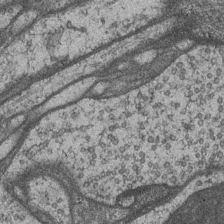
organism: Drosophila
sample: Optic medulla